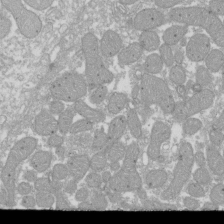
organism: Xenopus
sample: Cilia; centrioles in frog embryo cells